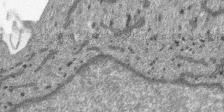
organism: Human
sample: Lung epithelial cells infected with SARS-CoV-2